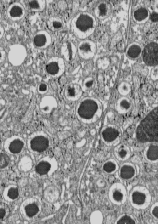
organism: C57BL Mouse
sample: Pancreatic islet